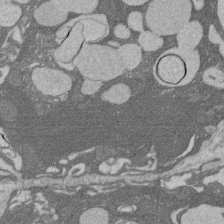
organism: Rat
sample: Salivary granule